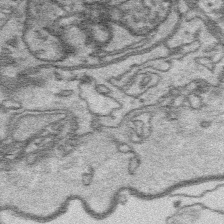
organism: Platynereis dumerilii